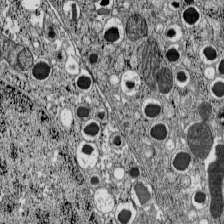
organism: C57BL Mouse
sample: Pancreatic islet